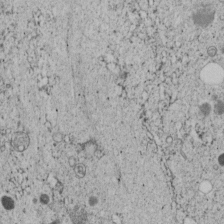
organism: C. elegans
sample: C. elegans embryo early stage